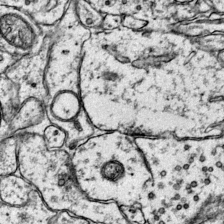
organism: Mouse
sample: Primary visual cortex